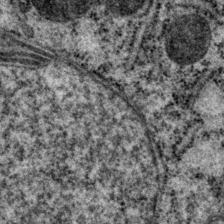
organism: P. pacificus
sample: Pharynx